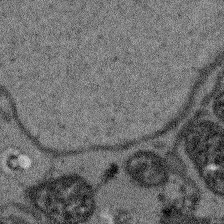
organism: Arabidopsis thaliana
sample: Root tip